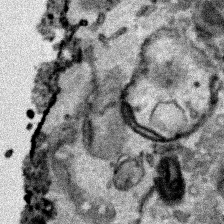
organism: Human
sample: Mitochondria in HCT116 cells